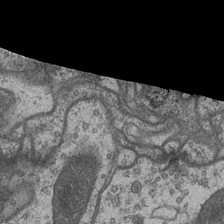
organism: Drosophila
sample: Optic medulla